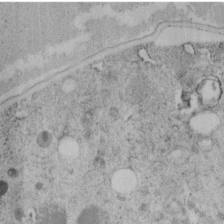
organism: C. elegans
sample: C. elegans embryo early stage